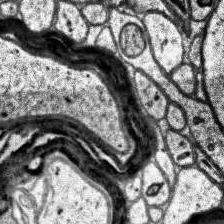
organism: Human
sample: Temporal Lobe